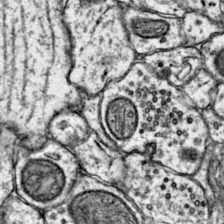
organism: Mouse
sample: Primary visual cortex